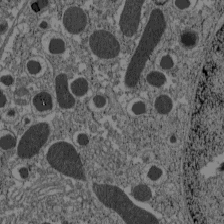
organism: C57BL Mouse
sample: Pancreatic islet